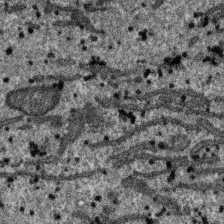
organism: Human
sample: Lung epithelial cells infected with SARS-CoV-2